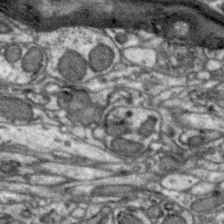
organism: Zebra finch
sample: Brain